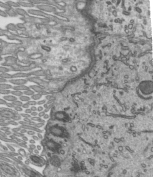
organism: Mouse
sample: Mouse epididymis efferent ductule cilia